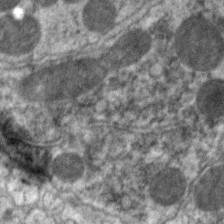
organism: C. elegans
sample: Pharynx